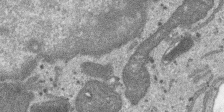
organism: Human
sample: Lung epithelial cells infected with SARS-CoV-2